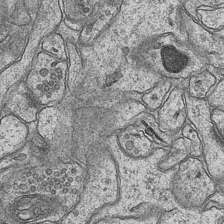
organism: Mouse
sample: CA1 Hippocampus